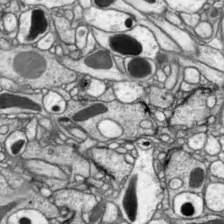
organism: Drosophila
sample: Optic lobe